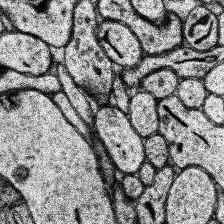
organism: Human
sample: Temporal Lobe